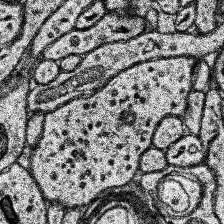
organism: Human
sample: Temporal Lobe